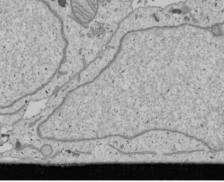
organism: Human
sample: Mitochondria in U2OS cells